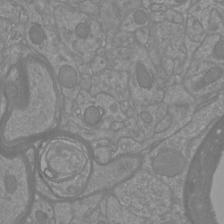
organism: Mouse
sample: Cortical neurons